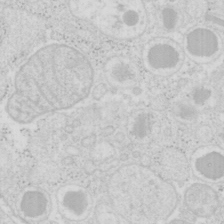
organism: Mouse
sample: Pancreas